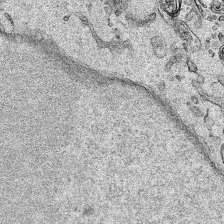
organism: Human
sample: Mitochondria in HCT116 cells